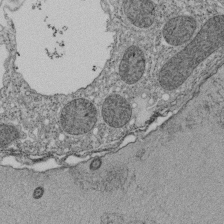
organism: Tetrahymena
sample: Cilia in tetrahymena